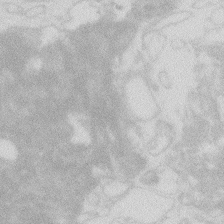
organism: Zebrafish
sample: Macrophage